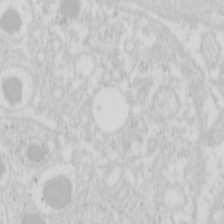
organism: Mouse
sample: Pancreas